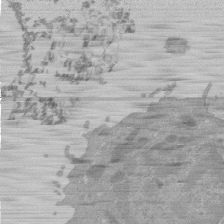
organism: Mouse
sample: Activated Pmel transgenic CD8+ T Cells